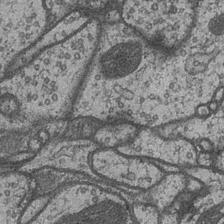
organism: Drosophila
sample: Optic medulla